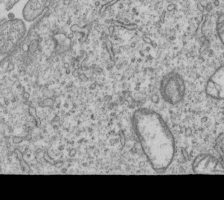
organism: Human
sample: MDA-MB-231 cells